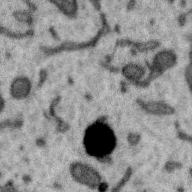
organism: Zebra finch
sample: Brain